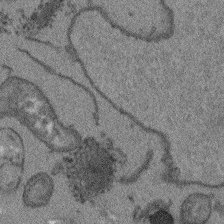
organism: Arabidopsis thaliana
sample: Root tip